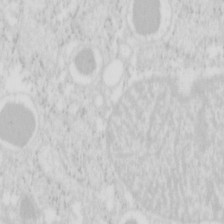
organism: Mouse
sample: Pancreas